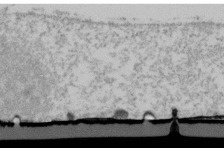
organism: Human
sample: U2-OS cells